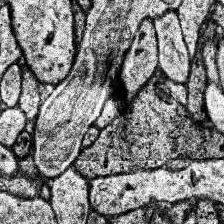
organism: Human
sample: Temporal Lobe